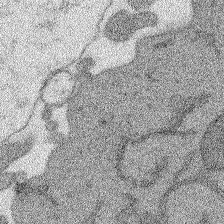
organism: Human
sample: HeLa cells